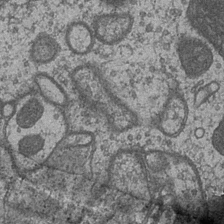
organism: Drosophila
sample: Optic medulla